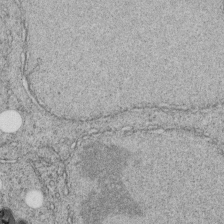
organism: C. elegans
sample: C. elegans embryo early stage